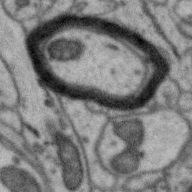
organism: Zebra finch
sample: Brain